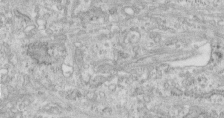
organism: Human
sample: Centriole in fibroblast cells